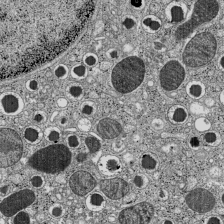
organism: C57BL Mouse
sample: Pancreatic islet